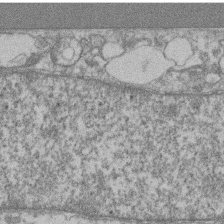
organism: Mouse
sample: T cell stromal cell synapse